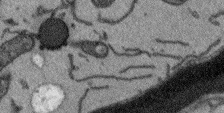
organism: Arabidopsis thaliana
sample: Root tip